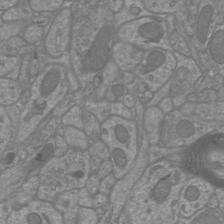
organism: Mouse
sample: Cortical neurons